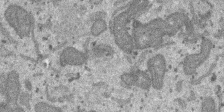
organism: Human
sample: Lung epithelial cells infected with SARS-CoV-2